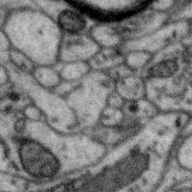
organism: Zebra finch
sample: Brain